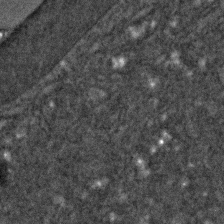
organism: C. elegans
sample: C. elegans embryo